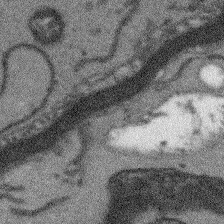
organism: Arabidopsis thaliana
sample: Root tip